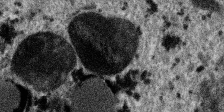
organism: Human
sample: Lung epithelial cells infected with SARS-CoV-2